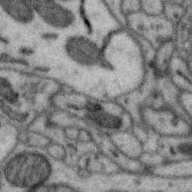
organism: Zebra finch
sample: Brain